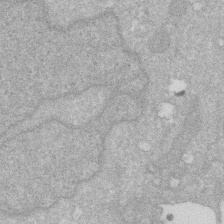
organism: Human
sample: HIV infected U937 cells